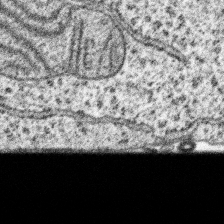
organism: Human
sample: HeLa cells